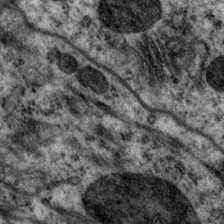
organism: P. pacificus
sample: Pharynx